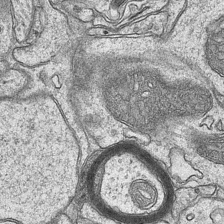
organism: Mouse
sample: CA1 Hippocampus